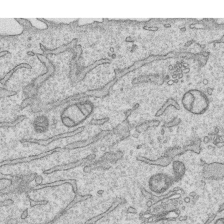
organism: Human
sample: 1205lu cells